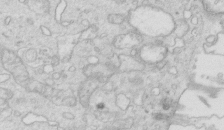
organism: Mouse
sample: Multiciliated cells